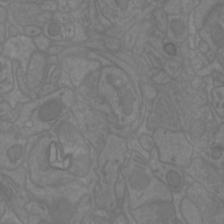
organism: Mouse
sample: Cortical neurons